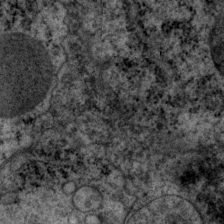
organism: P. pacificus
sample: Pharynx